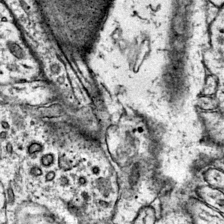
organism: Mouse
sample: Primary visual cortex